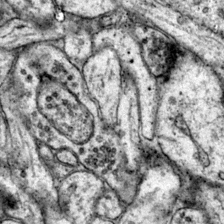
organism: Mouse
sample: Primary visual cortex